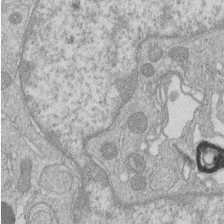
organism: Human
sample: Macrophage cells